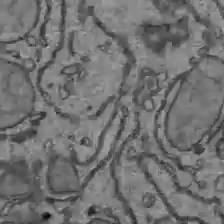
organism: C57BL Mouse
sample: Liver